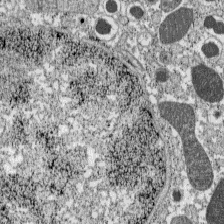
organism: C57BL Mouse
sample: Pancreatic islet